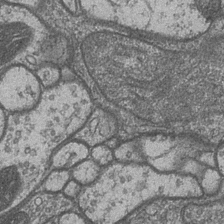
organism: Drosophila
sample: Optic medulla